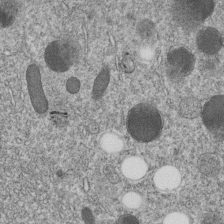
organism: C. elegans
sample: C. elegans embryo early stage